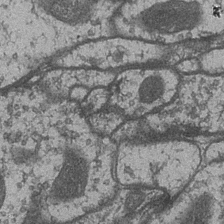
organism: Drosophila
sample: Optic medulla